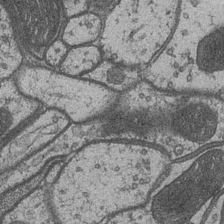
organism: Drosophila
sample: Optic medulla